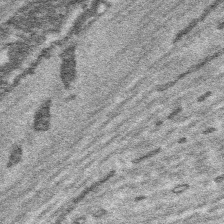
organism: Platynereis dumerilii